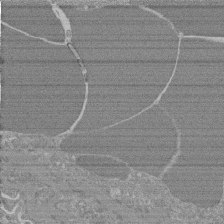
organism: Mouse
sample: Glomerulus